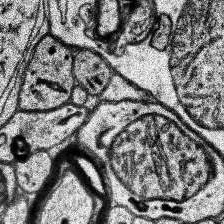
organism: Human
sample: Temporal Lobe